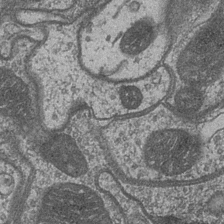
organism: Drosophila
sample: Optic medulla